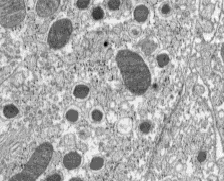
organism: C57BL Mouse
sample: Pancreatic islet